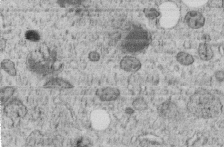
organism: C. elegans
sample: C. elegans embryo early stage